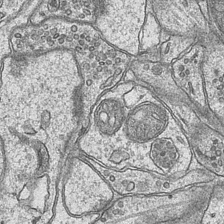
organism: Mouse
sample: CA1 Hippocampus